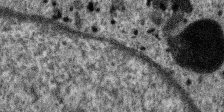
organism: Human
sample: Lung epithelial cells infected with SARS-CoV-2